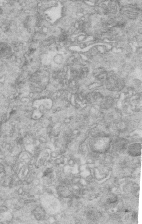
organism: Mouse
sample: Multiciliated cells